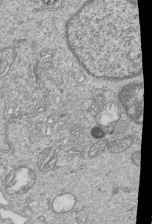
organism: Human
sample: MDA-MB-231 cells